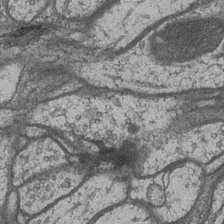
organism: Drosophila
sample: Optic medulla